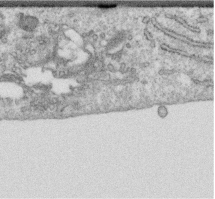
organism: Human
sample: Centriole in RPE cells